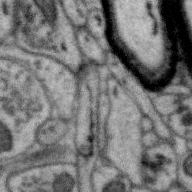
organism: Zebra finch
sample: Brain